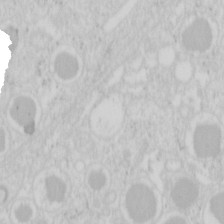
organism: Mouse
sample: Pancreas